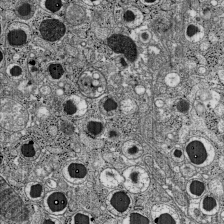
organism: C57BL Mouse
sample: Pancreatic islet